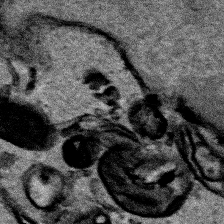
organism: Human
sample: Mitochondria in HCT116 cells